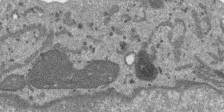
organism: Human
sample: Lung epithelial cells infected with SARS-CoV-2